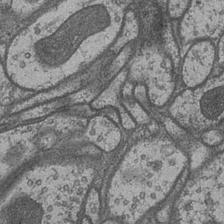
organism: Drosophila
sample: Optic medulla